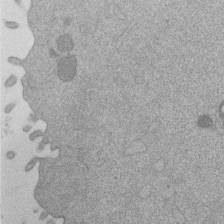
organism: Mouse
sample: Dividing mouse embryo 1 cell stage